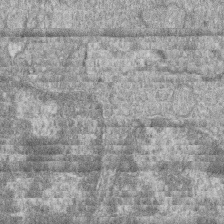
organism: Zebrafish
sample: Cilia; retinal pigment epithelium